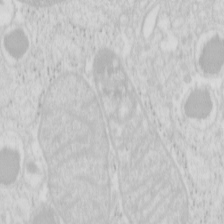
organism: Mouse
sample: Pancreas